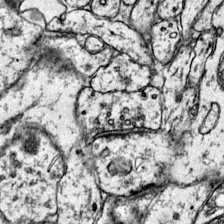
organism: Mouse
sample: Primary visual cortex